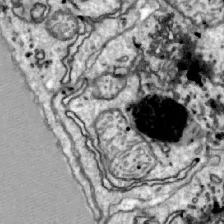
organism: Zebrafish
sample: Actinotrichia fibers